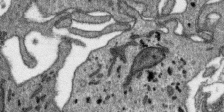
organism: Human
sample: Lung epithelial cells, uninfected (mock) control